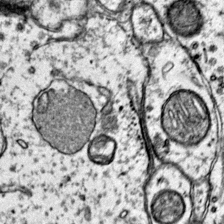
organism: Mouse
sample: Primary visual cortex